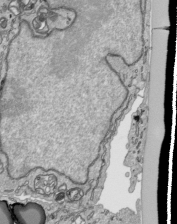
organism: Human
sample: Mitochondria in HCT116 cells